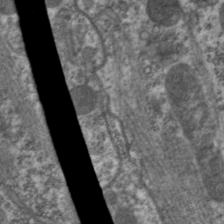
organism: C. elegans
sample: Pharynx